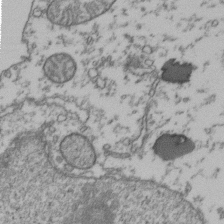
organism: Human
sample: Activated Jurkat CD4+ T cells